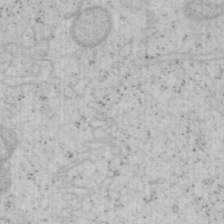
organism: Human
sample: HeLa cells